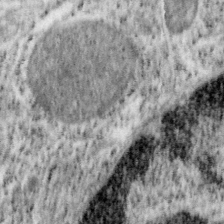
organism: Mouse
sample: OT-I killer T cells with ID8 ovarian cancer cells